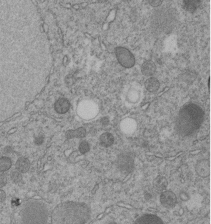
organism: C. elegans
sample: C. elegans embryo early stage